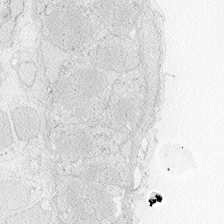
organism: Zebrafish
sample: Whole-Brain